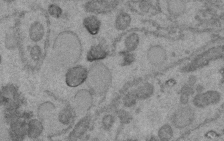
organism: C. elegans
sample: C. elegans embryo early stage